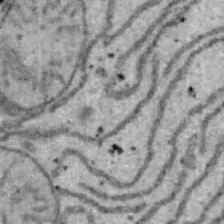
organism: Mouse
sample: Liver from an obese (ob/ob) mouse